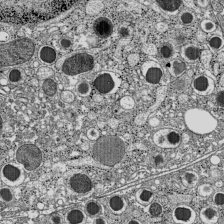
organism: C57BL Mouse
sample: Pancreatic islet